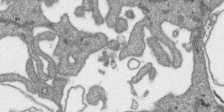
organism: Human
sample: Lung epithelial cells infected with SARS-CoV-2